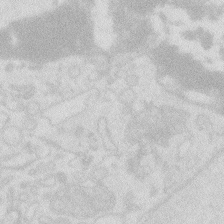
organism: Zebrafish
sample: Macrophage